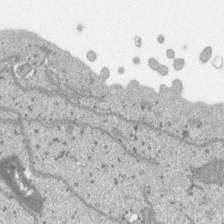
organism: Human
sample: Lung epithelial cells infected with SARS-CoV-2